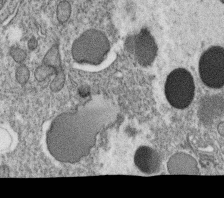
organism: C. elegans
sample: C. elegans oocyte; sperm cells